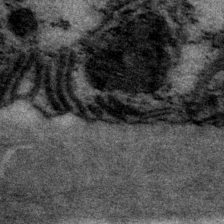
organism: P. pacificus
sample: Pharynx